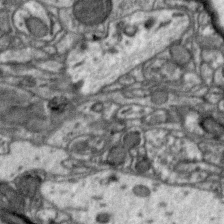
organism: Zebra finch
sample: Brain